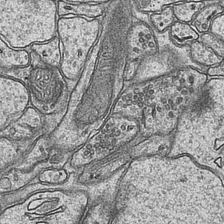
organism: Mouse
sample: CA1 Hippocampus